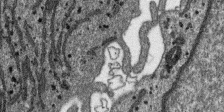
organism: Human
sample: Lung epithelial cells infected with SARS-CoV-2